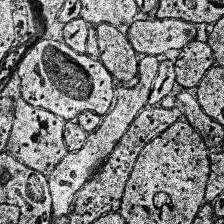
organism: Human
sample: Temporal Lobe